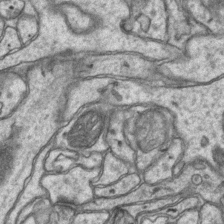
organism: Mouse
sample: CA1 Hippocampus